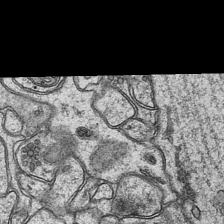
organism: Mouse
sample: CA1 Hippocampus